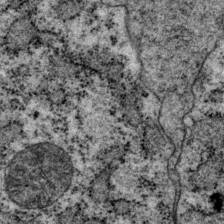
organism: P. pacificus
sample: Pharynx